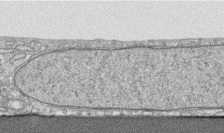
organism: Human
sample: CRL-1474